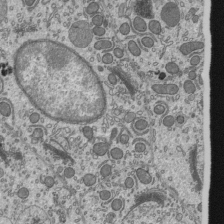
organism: Mouse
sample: Mouse epididymis efferent ductule cilia